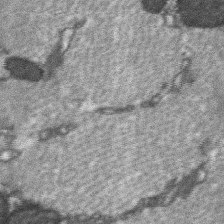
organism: C57BL Mouse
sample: Soleus